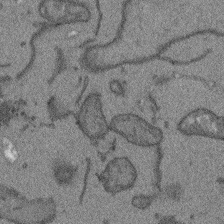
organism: Arabidopsis thaliana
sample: Root tip